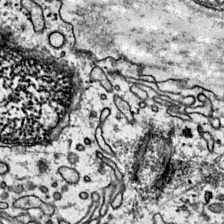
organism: Mouse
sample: Primary visual cortex